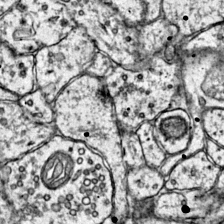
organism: Mouse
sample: Primary visual cortex